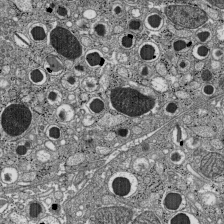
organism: C57BL Mouse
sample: Pancreatic islet